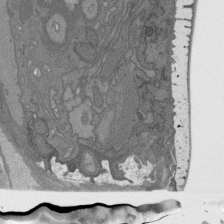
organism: C. elegans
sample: AFD neurons C. elegans